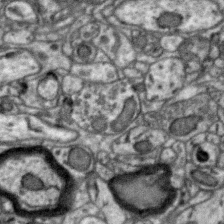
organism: Zebra finch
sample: Brain